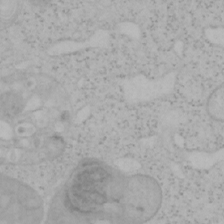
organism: Mouse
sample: OT-I killer T cells with ID8 ovarian cancer cells